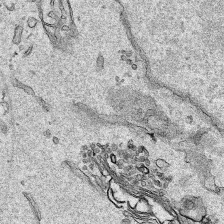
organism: Human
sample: Mitochondria in HCT116 cells